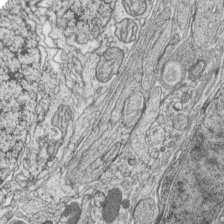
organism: Zebrafish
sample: synaptic ribbons in rod cells and cone cells